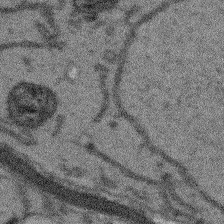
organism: Arabidopsis thaliana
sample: Root tip